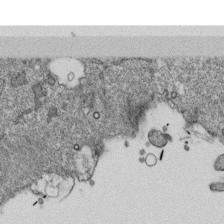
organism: African green monkey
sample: Vero E6 cells infected with SARS-CoV-2